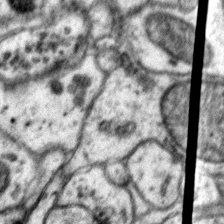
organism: Mouse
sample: Primary visual cortex